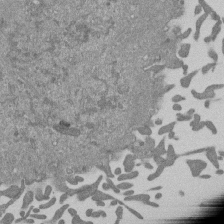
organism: Mouse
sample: ED-1 cell nuclei; centrioles